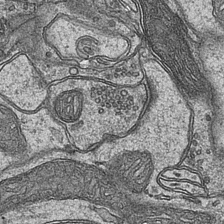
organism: Mouse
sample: CA1 Hippocampus